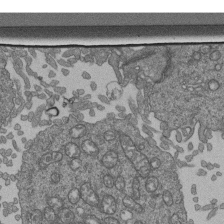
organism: Human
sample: Retinal organoid Rod and Cone cells